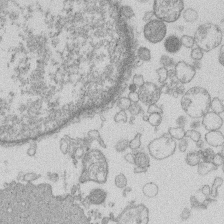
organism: Human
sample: Macrophage cells